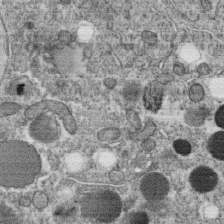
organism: C. elegans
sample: C. elegans oocyte; sperm cells